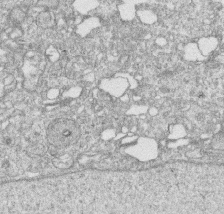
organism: Human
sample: HeLa cell HIV synapse